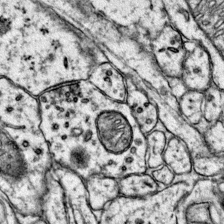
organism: Mouse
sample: Primary visual cortex